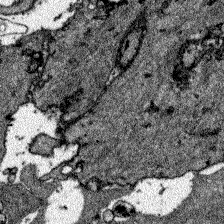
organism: Zebrafish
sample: Larval olfactory bulb